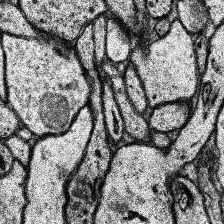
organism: Human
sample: Temporal Lobe